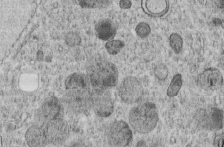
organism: C. elegans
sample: C. elegans embryo early stage